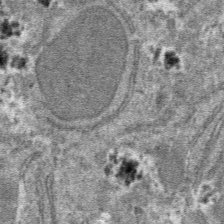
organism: Mouse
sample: Mouse hepatocytes